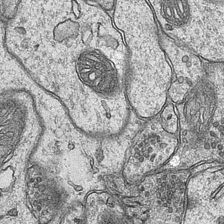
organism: Mouse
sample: CA1 Hippocampus